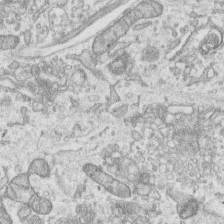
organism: Human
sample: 1205lu cells